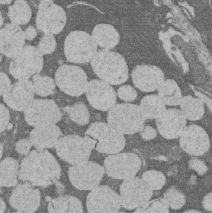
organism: Rat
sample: Salivary granule